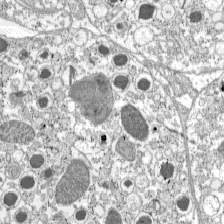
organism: C57BL Mouse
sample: Pancreatic islet